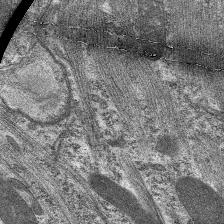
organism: C. elegans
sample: Pharynx